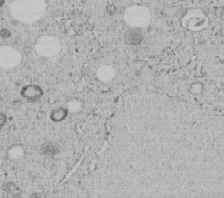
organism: C. elegans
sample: C. elegans embryo early stage